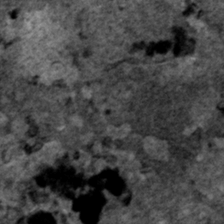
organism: Human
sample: Mitochondria in HCT116 cells